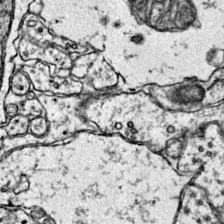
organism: Mouse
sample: Primary visual cortex